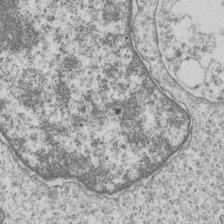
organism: Human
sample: MDA-MB-231 cells